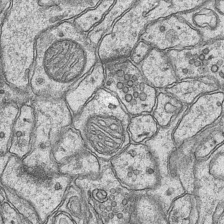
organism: Mouse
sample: CA1 Hippocampus